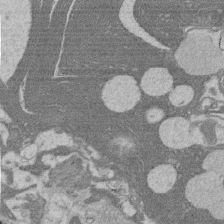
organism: Rat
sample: Salivary granule